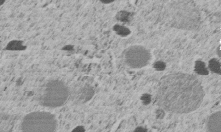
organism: C. elegans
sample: C. elegans embryo early stage